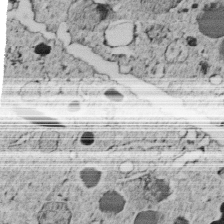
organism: C. elegans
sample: C. elegans embryo early stage